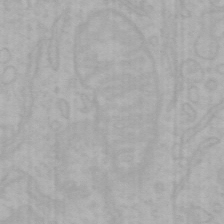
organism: Mouse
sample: Choroid plexus